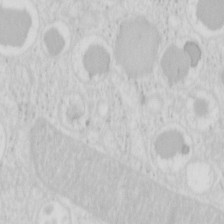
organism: Mouse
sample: Pancreas